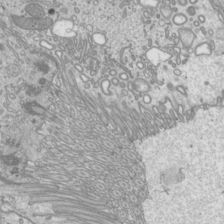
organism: Mouse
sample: Cilia; mouse epididymis